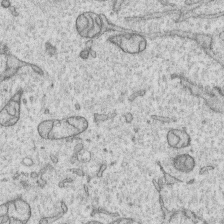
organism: Human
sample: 1205lu cells